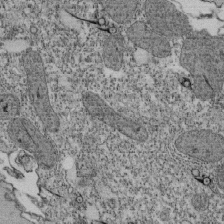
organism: Tetrahymena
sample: Cilia in tetrahymena